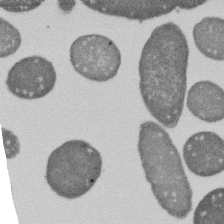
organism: E. coli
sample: Bacterial nucleoid